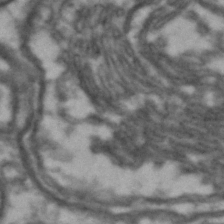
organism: Drosophila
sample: Brain